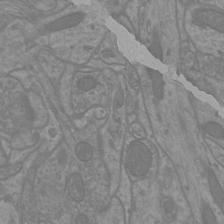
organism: Mouse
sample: Cortical neurons